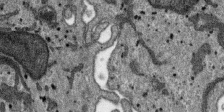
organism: Human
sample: Lung epithelial cells, uninfected (mock) control